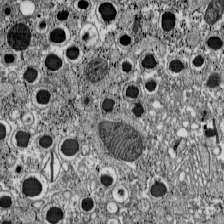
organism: C57BL Mouse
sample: Pancreatic islet